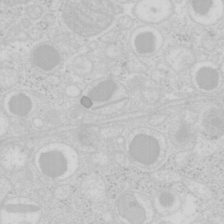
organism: Mouse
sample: Pancreas